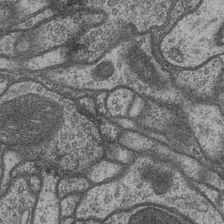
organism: Drosophila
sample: Optic medulla